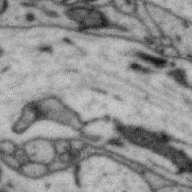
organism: Zebra finch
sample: Brain